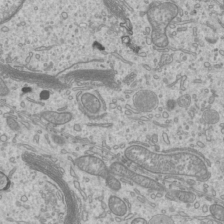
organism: Mouse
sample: Cilia; mouse epididymis